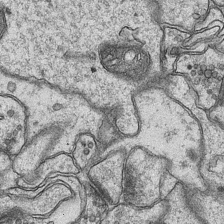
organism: Mouse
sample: CA1 Hippocampus